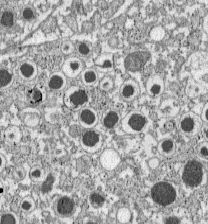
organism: C57BL Mouse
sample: Pancreatic islet